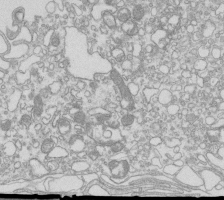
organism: Mouse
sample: Macrophages